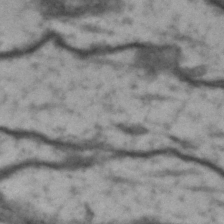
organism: Drosophila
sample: Brain